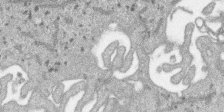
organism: Human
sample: Lung epithelial cells infected with SARS-CoV-2